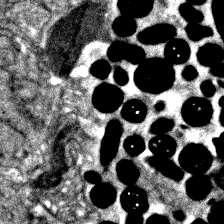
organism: Zebrafish